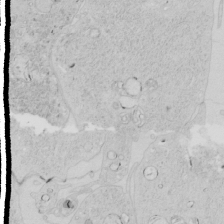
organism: Human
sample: Mitochondria in HCT116 cells